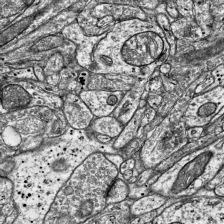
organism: Mouse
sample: Visual Cortex